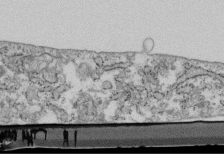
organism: Mouse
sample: Cilia; retinal pigment epithelium